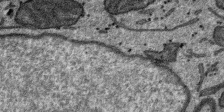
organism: Human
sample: Lung epithelial cells, uninfected (mock) control